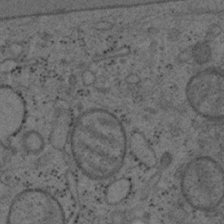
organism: Human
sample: HeLa cells